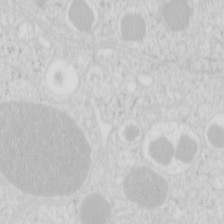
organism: Mouse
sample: Pancreas